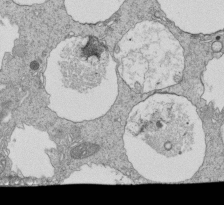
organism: Tetrahymena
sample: Cilia in tetrahymena